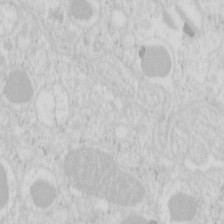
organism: Mouse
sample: Pancreas